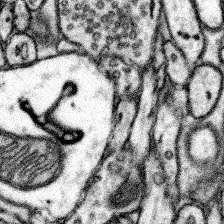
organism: Mouse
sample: Somatosensory cortex neuropil